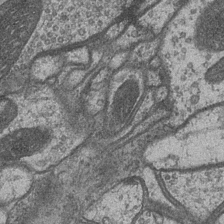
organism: Drosophila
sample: Optic medulla